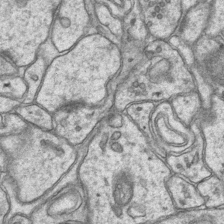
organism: Mouse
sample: CA1 Hippocampus